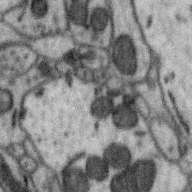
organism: Zebra finch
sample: Brain